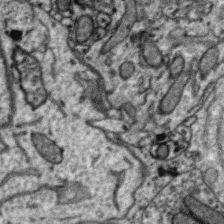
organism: Zebra finch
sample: Brain